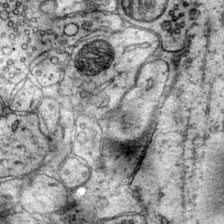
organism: Mouse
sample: Primary visual cortex